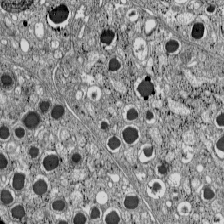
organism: C57BL Mouse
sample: Pancreatic islet